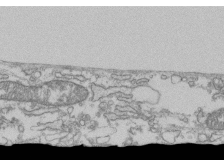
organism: Human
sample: Fibroblast cells